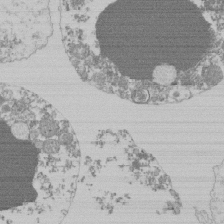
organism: Mouse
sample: Activated Pmel transgenic CD8+ T Cells